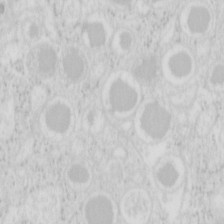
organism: Mouse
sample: Pancreas